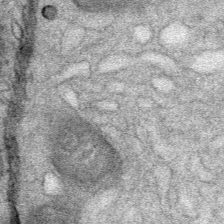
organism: Mouse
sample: Mouse Salivary gland